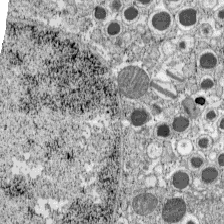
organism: C57BL Mouse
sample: Pancreatic islet